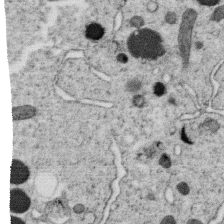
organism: C. elegans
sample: C. elegans oocyte; sperm cells